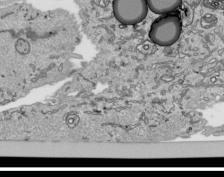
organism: Human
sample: Mitochondria in HCT116 cells